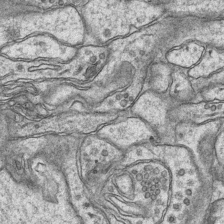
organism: Mouse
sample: CA1 Hippocampus